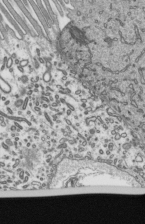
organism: Mouse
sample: Mouse epididymis efferent ductule cilia